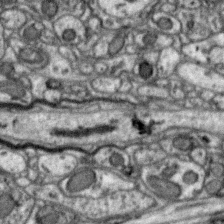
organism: Zebra finch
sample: Brain